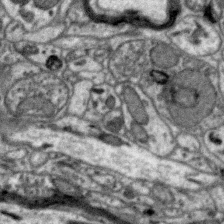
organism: Zebra finch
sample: Brain